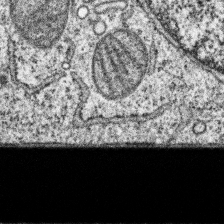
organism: Human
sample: HeLa cells